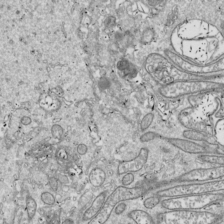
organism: Drosophila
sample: Cell division; meiosis; drosophila spermatocytes